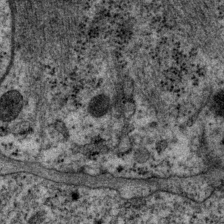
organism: P. pacificus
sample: Pharynx